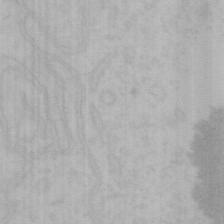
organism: Mouse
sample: Choroid plexus